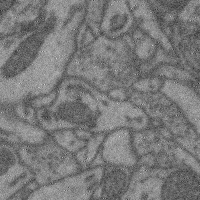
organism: Mouse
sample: Cerebral cortex